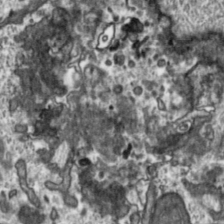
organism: Toxoplasma gondii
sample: Parasites in a vacuole inside a host cell